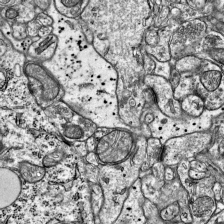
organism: Mouse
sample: Visual Cortex